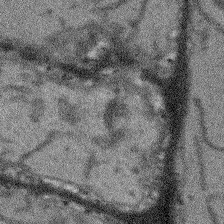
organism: Arabidopsis thaliana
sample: Root tip